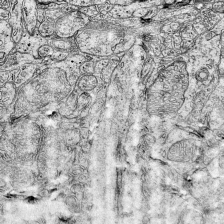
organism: Mouse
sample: Visual Cortex